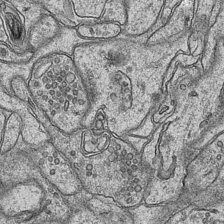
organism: Mouse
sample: CA1 Hippocampus